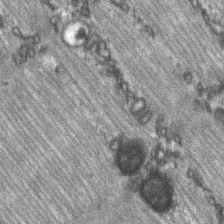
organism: C57BL Mouse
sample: Soleus